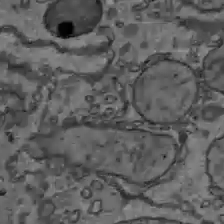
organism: C57BL Mouse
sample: Liver